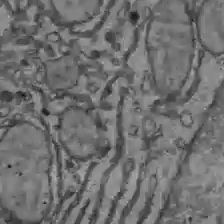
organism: C57BL Mouse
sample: Liver